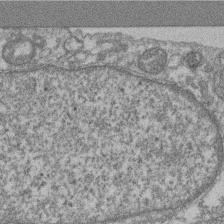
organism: Mouse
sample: T cell stromal cell synapse